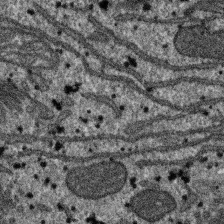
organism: Human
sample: Lung epithelial cells infected with SARS-CoV-2